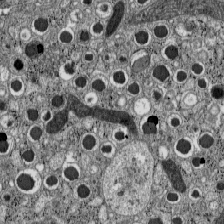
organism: C57BL Mouse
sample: Pancreatic islet